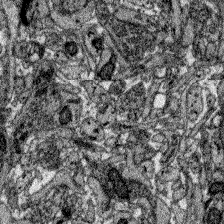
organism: Zebrafish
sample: Larval olfactory bulb